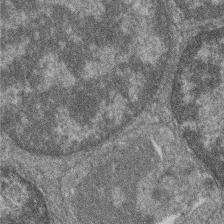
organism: Zebrafish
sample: Cilia; retinal pigment epithelium